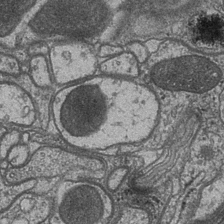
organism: Drosophila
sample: Optic medulla